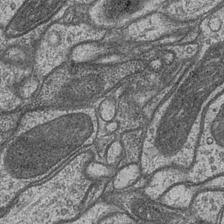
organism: Drosophila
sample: Optic medulla